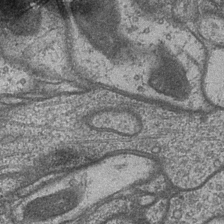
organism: Drosophila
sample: Optic medulla